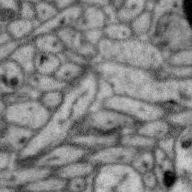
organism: Zebra finch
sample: Brain